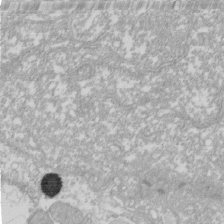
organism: Xenopus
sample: Cilia; centrioles in frog embryo cells